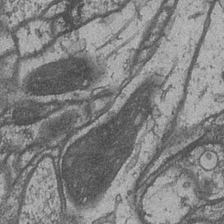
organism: Drosophila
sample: Optic medulla